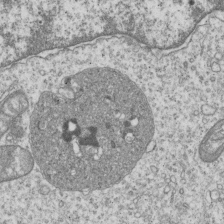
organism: Human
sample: MDA-MB-231 cells